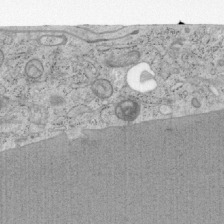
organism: Human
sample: HeLa cells